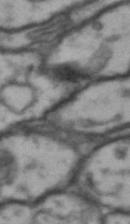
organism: Drosophila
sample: Brain